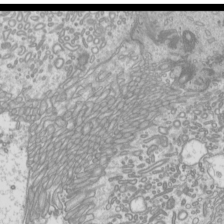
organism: Mouse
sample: Cilia; mouse epididymis